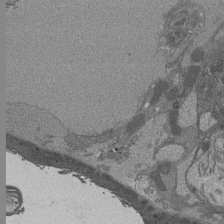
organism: Drosophila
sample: Antenna